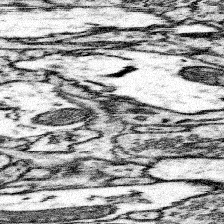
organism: Mouse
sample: Somatosensory cortex neuropil